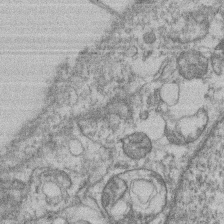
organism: Mouse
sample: T cell stromal cell synapse